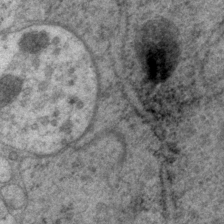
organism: P. pacificus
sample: Pharynx